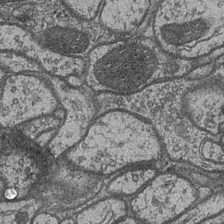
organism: Drosophila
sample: Optic medulla